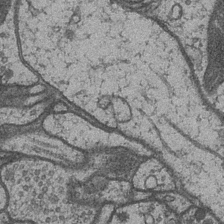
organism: Drosophila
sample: Optic medulla